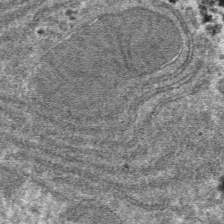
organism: Mouse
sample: Mouse hepatocytes